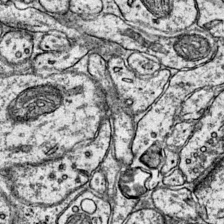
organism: Mouse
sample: Primary visual cortex